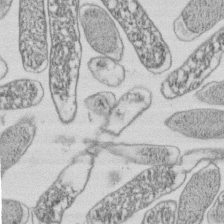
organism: E. coli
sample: Bacterial nucleoid